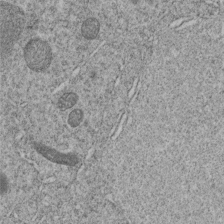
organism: C. elegans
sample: C. elegans embryo early stage